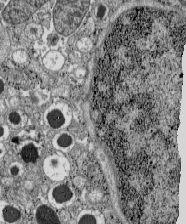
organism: C57BL Mouse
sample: Pancreatic islet